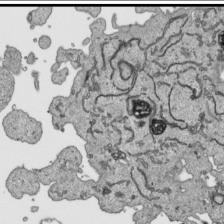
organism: Human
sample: Mitochondria in HCT116 cells